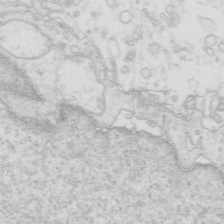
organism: Mouse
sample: Multiciliated cells